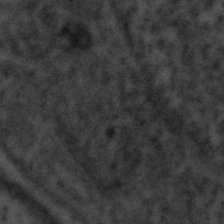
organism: Tuwongella immobilis